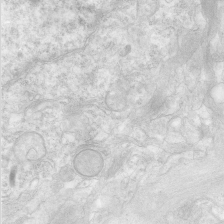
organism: Human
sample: Neocortex